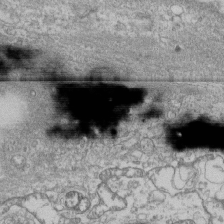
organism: Human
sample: Fibroblast cells